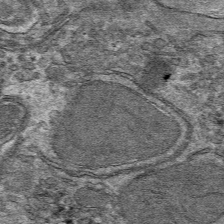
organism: Mouse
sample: Mouse hepatocytes